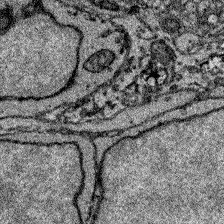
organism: Zebrafish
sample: Larval olfactory bulb